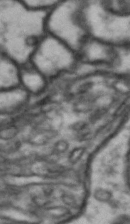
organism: Drosophila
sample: Brain